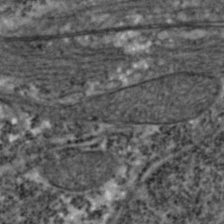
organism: Zebrafish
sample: Zebrafish embryo